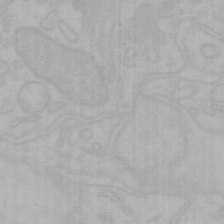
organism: Mouse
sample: Choroid plexus